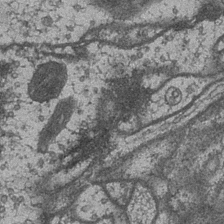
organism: Drosophila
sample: Optic medulla